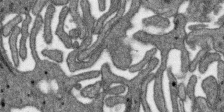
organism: Human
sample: Lung epithelial cells, uninfected (mock) control